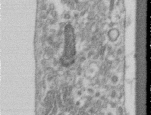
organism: Human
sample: Centriole in RPE cells